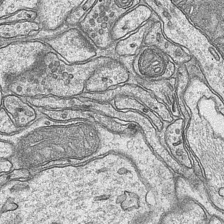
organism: Mouse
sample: CA1 Hippocampus